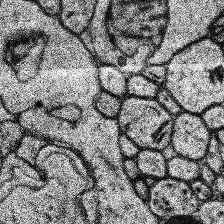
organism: Human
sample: Temporal Lobe